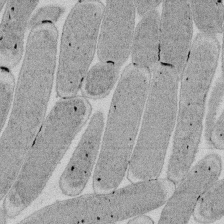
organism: E. coli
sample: Bacterial nucleoid